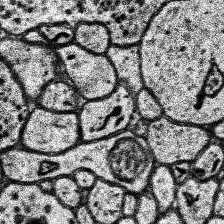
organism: Human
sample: Temporal Lobe